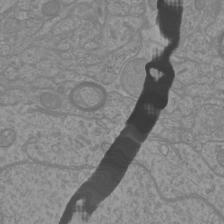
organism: Mouse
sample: Cortical neurons